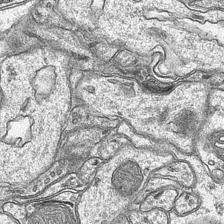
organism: Mouse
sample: CA1 Hippocampus